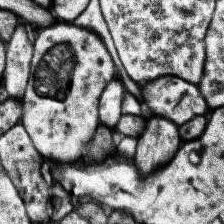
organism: Human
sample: Temporal Lobe